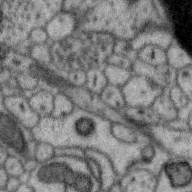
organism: Zebra finch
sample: Brain